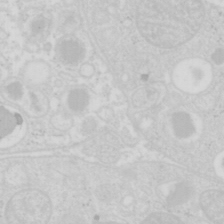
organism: Mouse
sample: Pancreas